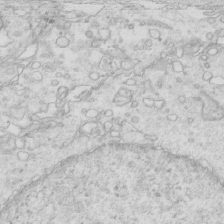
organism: Mouse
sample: Multiciliated cells